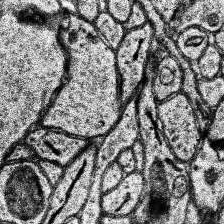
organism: Human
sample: Temporal Lobe